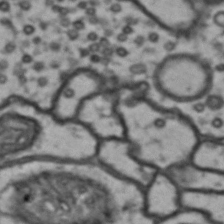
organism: Drosophila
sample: Brain